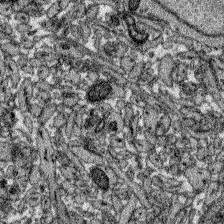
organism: Zebrafish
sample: Larval olfactory bulb